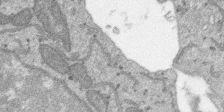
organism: Human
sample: Lung epithelial cells infected with SARS-CoV-2